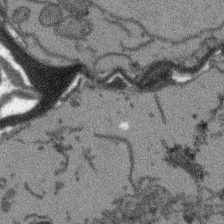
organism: Arabidopsis thaliana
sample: Root tip